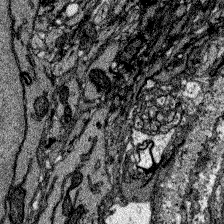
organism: Zebrafish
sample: Larval olfactory bulb